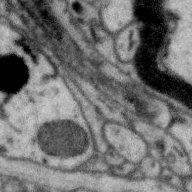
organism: Zebra finch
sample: Brain